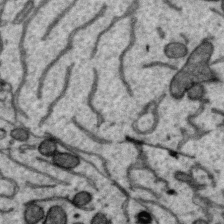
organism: Zebra finch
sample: Brain